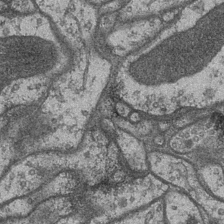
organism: Drosophila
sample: Optic medulla